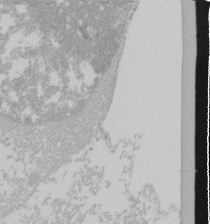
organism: Mouse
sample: Cancer cell death in ED-1 cells